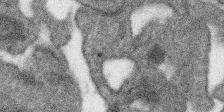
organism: Human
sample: Lung epithelial cells infected with SARS-CoV-2